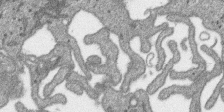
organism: Human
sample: Lung epithelial cells infected with SARS-CoV-2